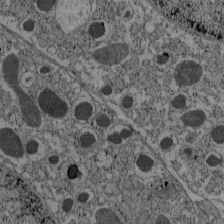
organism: C57BL Mouse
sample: Pancreatic islet